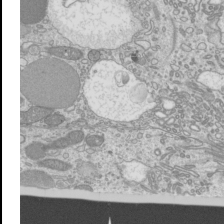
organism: Mouse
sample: Cilia; mouse epididymis